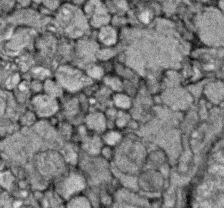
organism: Zebrafish